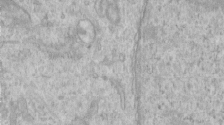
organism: Human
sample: Centriole in RPE cells